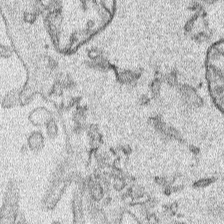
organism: Human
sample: Mitochondria in HCT116 cells